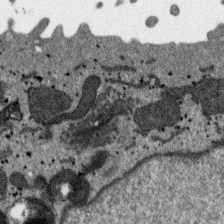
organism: Human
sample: Lung epithelial cells, uninfected (mock) control